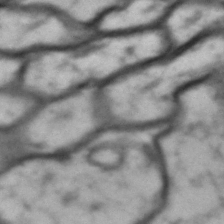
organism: Drosophila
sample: Brain